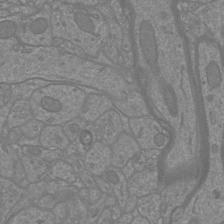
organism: Mouse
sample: Cortical neurons